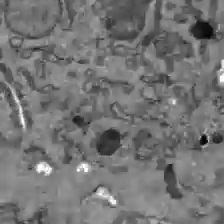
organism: C57BL Mouse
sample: Liver